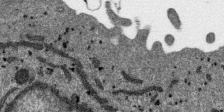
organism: Human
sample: Lung epithelial cells, uninfected (mock) control